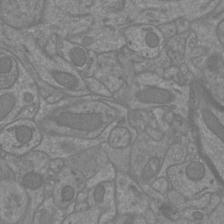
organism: Mouse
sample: Cortical neurons